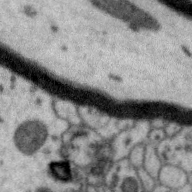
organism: Zebra finch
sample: Brain